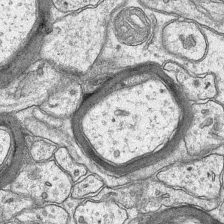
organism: Mouse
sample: CA1 Hippocampus